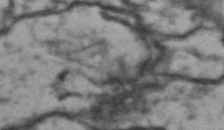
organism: Drosophila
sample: Brain